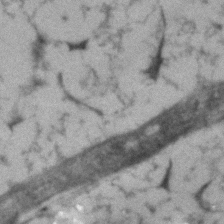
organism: Human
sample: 1205lu cells